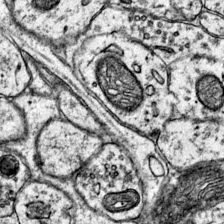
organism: Mouse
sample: Primary visual cortex